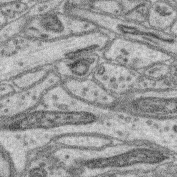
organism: Mouse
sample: Retina